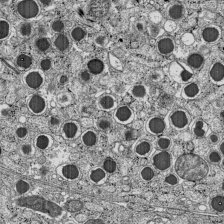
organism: C57BL Mouse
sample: Pancreatic islet